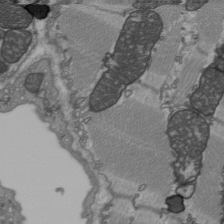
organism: C57BL Mouse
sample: Heart